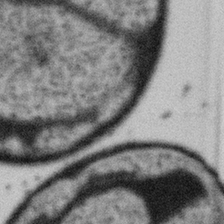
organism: Gemmata obscuriglobus